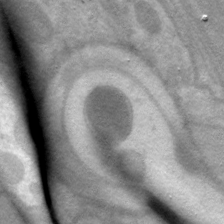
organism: C. elegans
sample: Pharynx